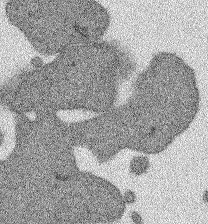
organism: Human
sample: HeLa cells